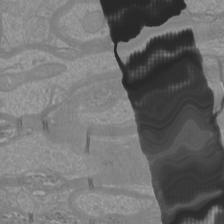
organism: Mouse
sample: Cortical neurons